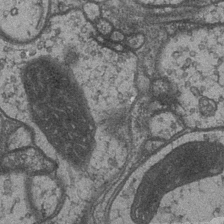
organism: Drosophila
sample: Optic medulla